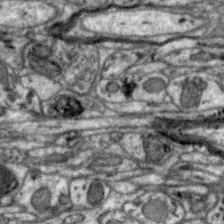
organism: Zebra finch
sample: Brain